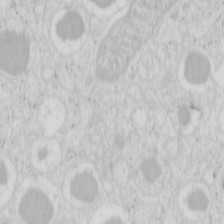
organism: Mouse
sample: Pancreas